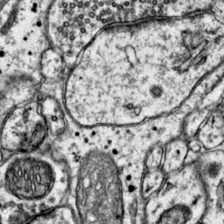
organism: Mouse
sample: Primary visual cortex